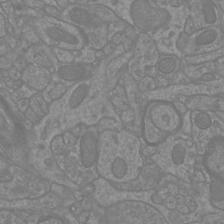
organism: Mouse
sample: Cortical neurons